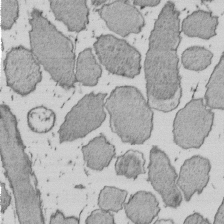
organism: E. coli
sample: Bacterial nucleoid